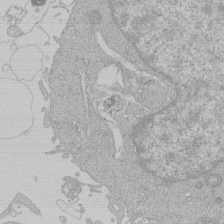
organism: Human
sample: Macrophage cells